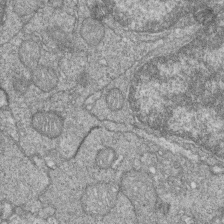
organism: Zebrafish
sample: Cilia; retinal pigment epithelium